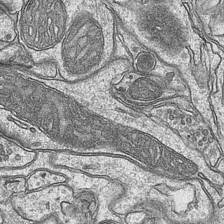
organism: Mouse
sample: CA1 Hippocampus